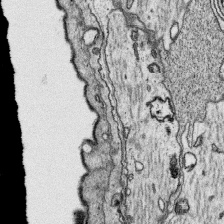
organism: Platynereis dumerilii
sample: Parapodia